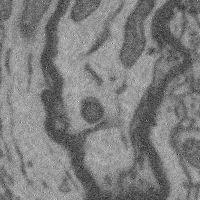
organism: Mouse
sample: Cerebral cortex